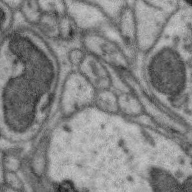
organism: Zebra finch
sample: Brain